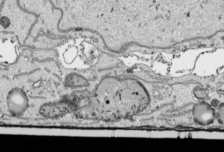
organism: Human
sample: Mitochondria in HCT116 cells